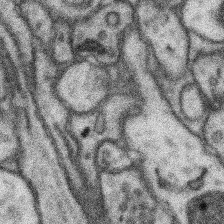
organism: Mouse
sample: Somatosensory cortex neuropil